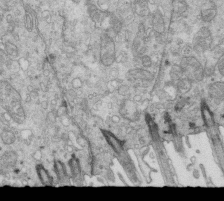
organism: Mouse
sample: Multiciliated cells